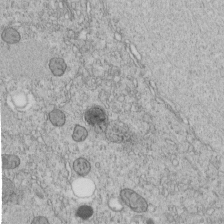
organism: C. elegans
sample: C. elegans embryo early stage